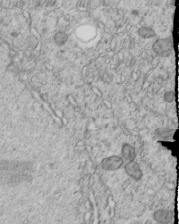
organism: C. elegans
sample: C. elegans embryo early stage